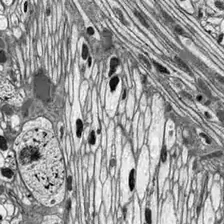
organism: Drosophila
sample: Optic lobe